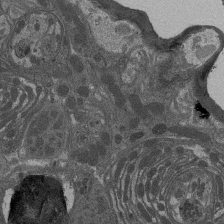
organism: Drosophila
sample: Antenna